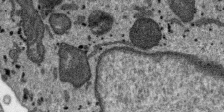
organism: Human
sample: Lung epithelial cells, uninfected (mock) control